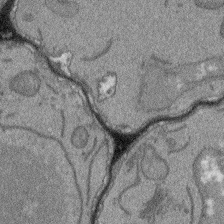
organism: Arabidopsis thaliana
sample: Root tip